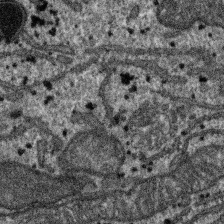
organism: Human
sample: Lung epithelial cells infected with SARS-CoV-2